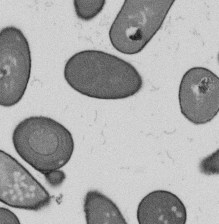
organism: B. subtilis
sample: Bacterial spore